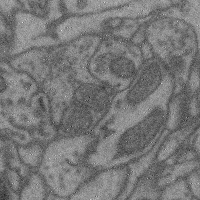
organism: Mouse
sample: Cerebral cortex